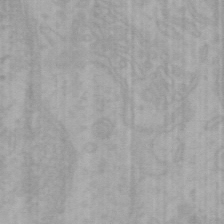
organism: Mouse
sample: Choroid plexus